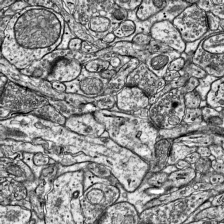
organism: Mouse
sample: Visual Cortex